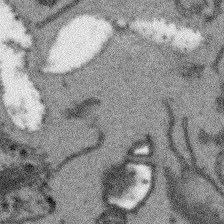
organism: Arabidopsis thaliana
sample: Root tip